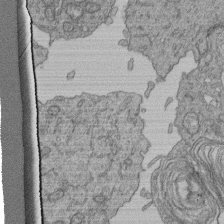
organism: Human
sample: Retinal organoid Rod and Cone cells